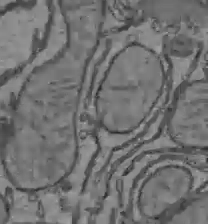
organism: C57BL Mouse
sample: Liver